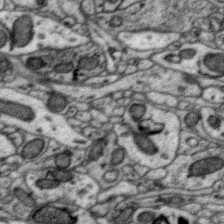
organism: Zebra finch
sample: Brain